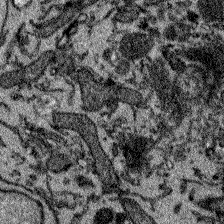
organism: Zebrafish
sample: Larval olfactory bulb